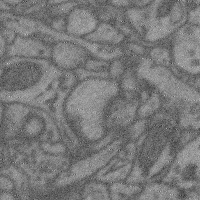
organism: Mouse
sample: Cerebral cortex